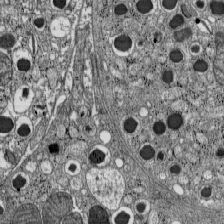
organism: C57BL Mouse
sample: Pancreatic islet